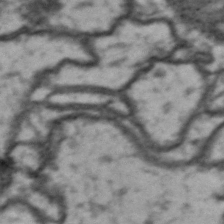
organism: Drosophila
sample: Brain